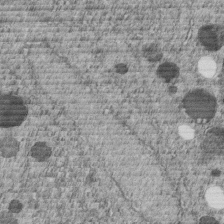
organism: C. elegans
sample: C. elegans embryo early stage